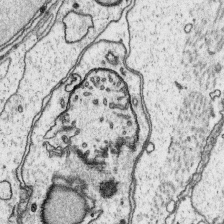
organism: Platynereis dumerilii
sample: Parapodia